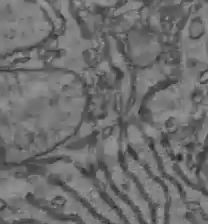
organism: C57BL Mouse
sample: Liver